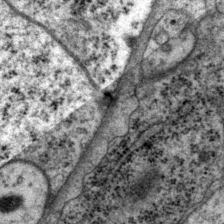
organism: P. pacificus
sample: Pharynx